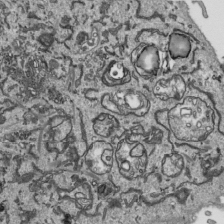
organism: Human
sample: Mitochondria in HCT116 cells